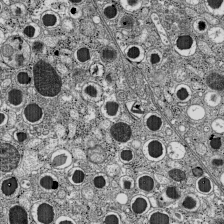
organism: C57BL Mouse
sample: Pancreatic islet